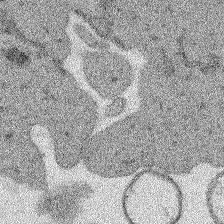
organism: Human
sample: HeLa cells